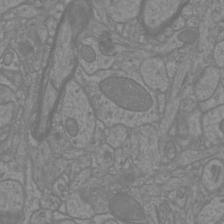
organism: Mouse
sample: Cortical neurons